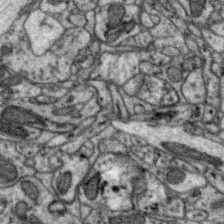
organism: Zebra finch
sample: Brain